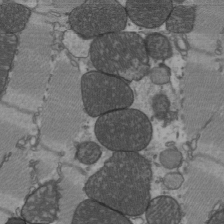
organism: C57BL Mouse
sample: Heart